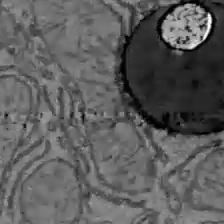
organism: C57BL Mouse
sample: Liver